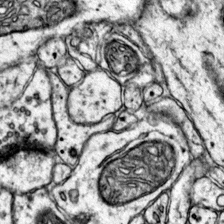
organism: Mouse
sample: Primary visual cortex